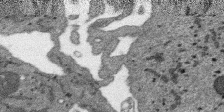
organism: Human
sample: Lung epithelial cells infected with SARS-CoV-2